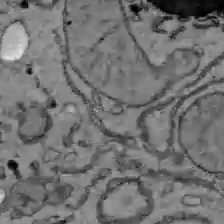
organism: C57BL Mouse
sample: Liver